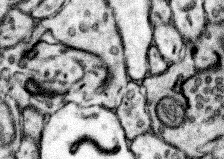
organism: Mouse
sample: Somatosensory cortex neuropil